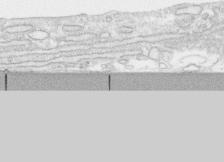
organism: Human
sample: CRL-1474